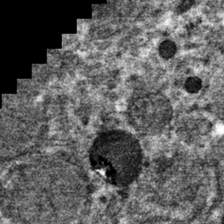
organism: Mouse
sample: Mouse hepatocytes